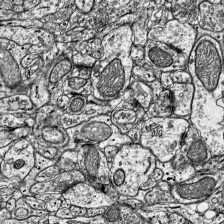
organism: Mouse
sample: Visual Cortex